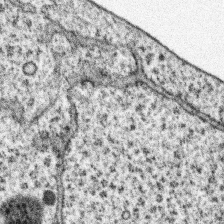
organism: Human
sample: HeLa cells